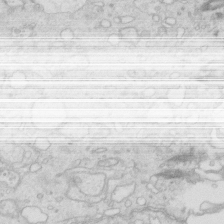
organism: Mouse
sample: Multiciliated cells